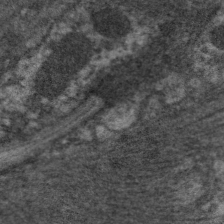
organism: C. elegans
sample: Pharynx